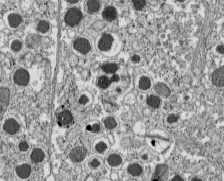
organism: C57BL Mouse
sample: Pancreatic islet